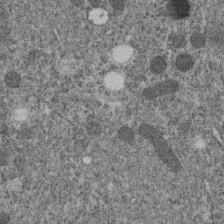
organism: C. elegans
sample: C. elegans embryo early stage